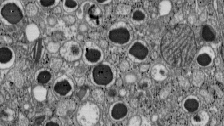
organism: C57BL Mouse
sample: Pancreatic islet